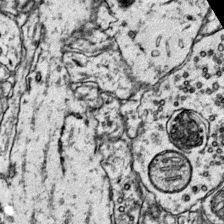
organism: Mouse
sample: Primary visual cortex